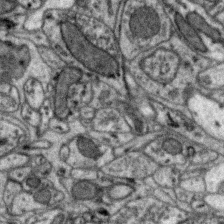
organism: Zebra finch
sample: Brain